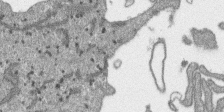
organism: Human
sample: Lung epithelial cells infected with SARS-CoV-2